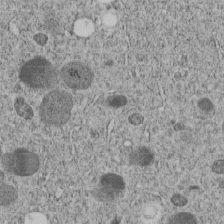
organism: C. elegans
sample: C. elegans embryo early stage